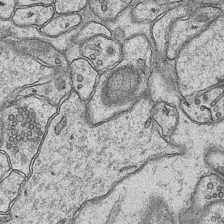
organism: Mouse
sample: CA1 Hippocampus